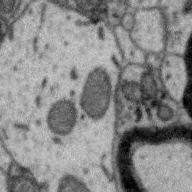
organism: Zebra finch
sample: Brain